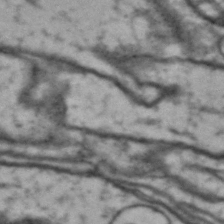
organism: Drosophila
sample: Brain